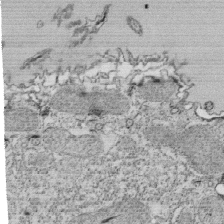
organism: Tetrahymena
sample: Cilia in tetrahymena